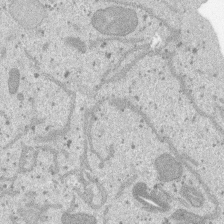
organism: Human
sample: Lung epithelial cells infected with SARS-CoV-2